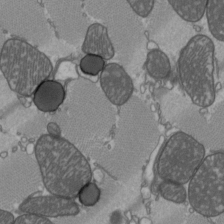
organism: C57BL Mouse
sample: Heart